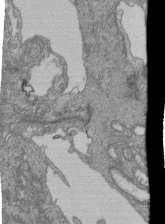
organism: Human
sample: Retinal organoid Rod and Cone cells